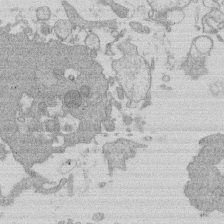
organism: Human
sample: Macrophage cells